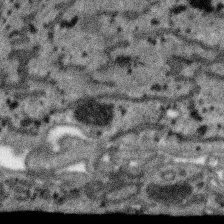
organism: Human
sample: Lung epithelial cells infected with SARS-CoV-2